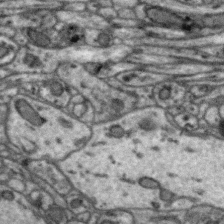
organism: Zebra finch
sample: Brain